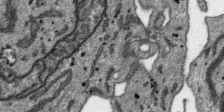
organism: Human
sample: Lung epithelial cells, uninfected (mock) control